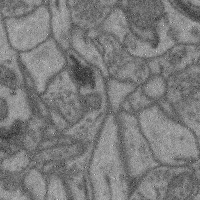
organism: Mouse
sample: Cerebral cortex